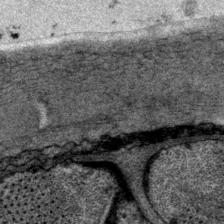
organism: P. pacificus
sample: Pharynx